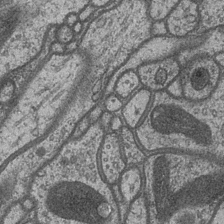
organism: Drosophila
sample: Optic medulla